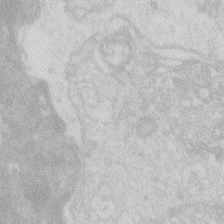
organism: Zebrafish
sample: Macrophage